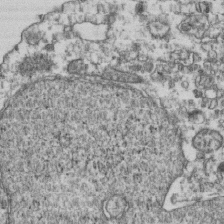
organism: Human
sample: Activated Jurkat CD4+ T cells